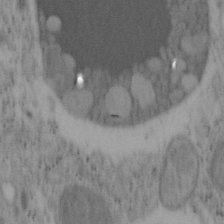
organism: Mouse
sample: OT-I killer T cells with ID8 ovarian cancer cells